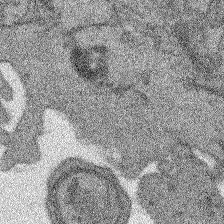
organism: Human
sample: HeLa cells